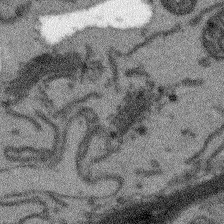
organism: Arabidopsis thaliana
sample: Root tip